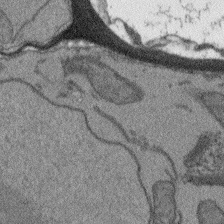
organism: Arabidopsis thaliana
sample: Root tip